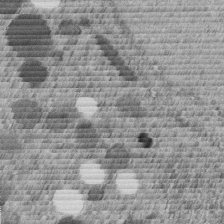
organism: C. elegans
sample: C. elegans embryo early stage